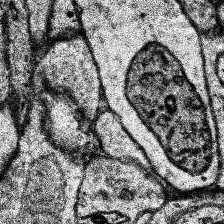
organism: Human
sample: Temporal Lobe